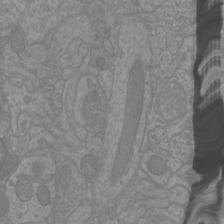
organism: Mouse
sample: Cortical neurons